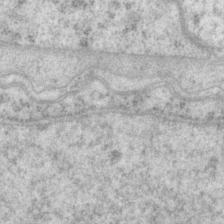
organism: P. pacificus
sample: Pharynx